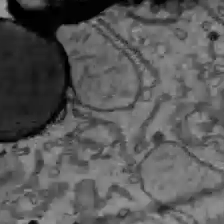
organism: C57BL Mouse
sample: Liver